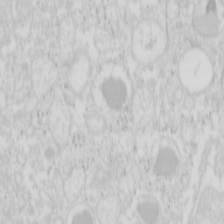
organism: Mouse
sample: Pancreas